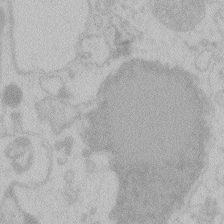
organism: Zebrafish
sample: Macrophage infected with Toxoplasma gondii